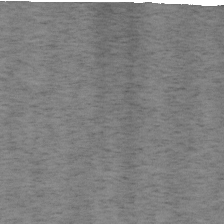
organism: Mouse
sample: OT-I killer T cells with ID8 ovarian cancer cells